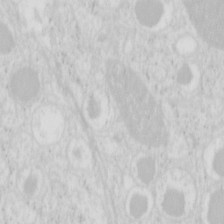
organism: Mouse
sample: Pancreas